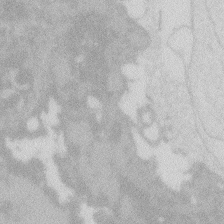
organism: Zebrafish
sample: Macrophage